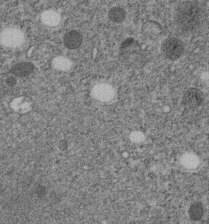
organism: C. elegans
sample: C. elegans embryo early stage